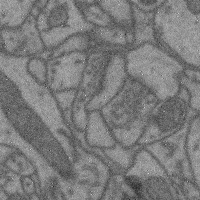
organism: Mouse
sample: Cerebral cortex